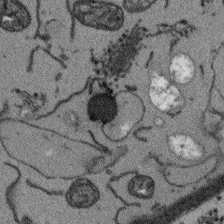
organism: Arabidopsis thaliana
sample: Root tip